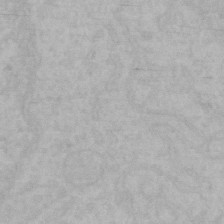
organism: Mouse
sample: Choroid plexus